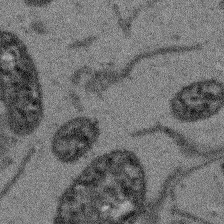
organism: Arabidopsis thaliana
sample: Root tip